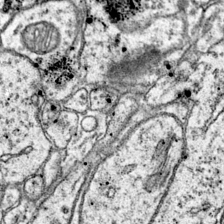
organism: Mouse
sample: Primary visual cortex